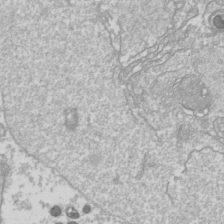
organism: Drosophila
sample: Cell division; meiosis; drosophila spermatocytes